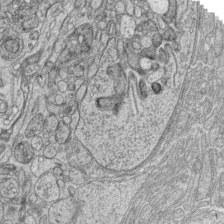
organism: Zebrafish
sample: synaptic ribbons in rod cells and cone cells